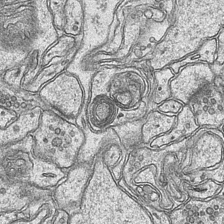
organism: Mouse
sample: CA1 Hippocampus